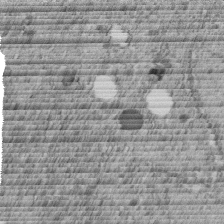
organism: C. elegans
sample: C. elegans embryo early stage